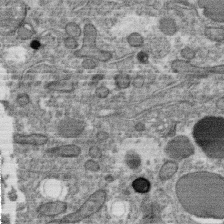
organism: C. elegans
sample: C. elegans oocyte; sperm cells